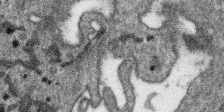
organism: Human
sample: Lung epithelial cells infected with SARS-CoV-2